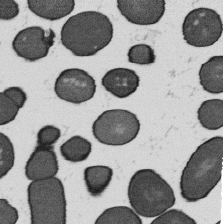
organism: B. subtilis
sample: Bacterial spore